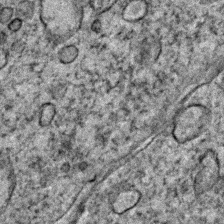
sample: Trachea